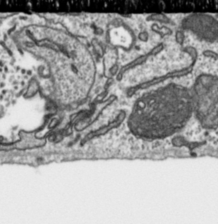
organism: Toxoplasma gondii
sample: Parasites in a vacuole inside a host cell